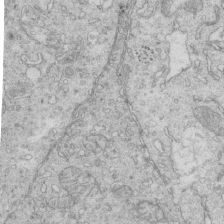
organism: Mouse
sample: Multiciliated cells